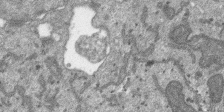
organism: Human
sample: Lung epithelial cells infected with SARS-CoV-2